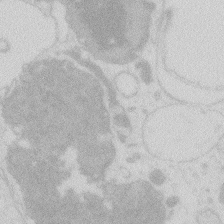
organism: Zebrafish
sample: Macrophage